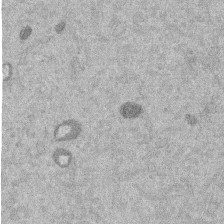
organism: Mouse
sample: Dividing mouse embryo 1 cell stage